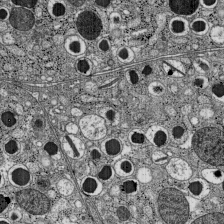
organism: C57BL Mouse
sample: Pancreatic islet